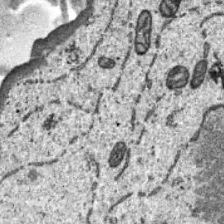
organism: Human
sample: HeLa cells